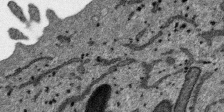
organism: Human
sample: Lung epithelial cells, uninfected (mock) control